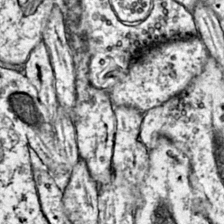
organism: Mouse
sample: Primary visual cortex